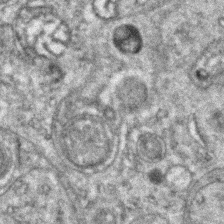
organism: Zebrafish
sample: Zebrafish embryo